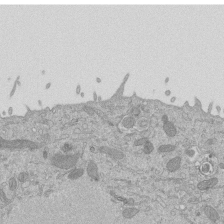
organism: Mouse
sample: ED-1 cell nuclei; centrioles